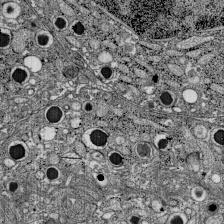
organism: C57BL Mouse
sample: Pancreatic islet